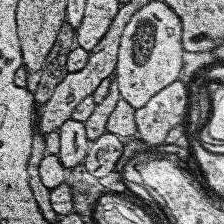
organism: Human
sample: Temporal Lobe